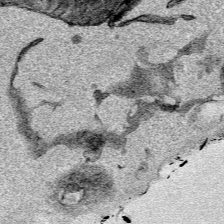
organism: Mouse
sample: Cancer cell death in ED-1 cells